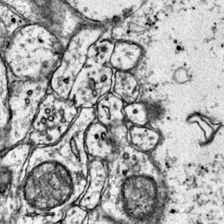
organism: Mouse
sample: Primary visual cortex